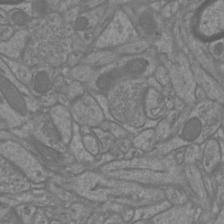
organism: Mouse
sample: Cortical neurons